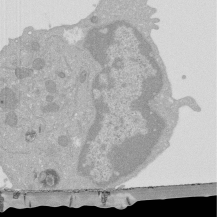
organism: Mouse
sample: Activated Pmel transgenic CD8+ T Cells